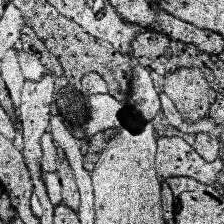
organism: Human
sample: Temporal Lobe